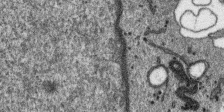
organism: Human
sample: Lung epithelial cells infected with SARS-CoV-2